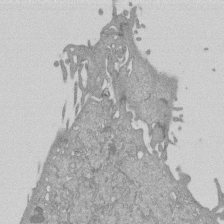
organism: Mouse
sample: ED-1 cell nuclei; centrioles